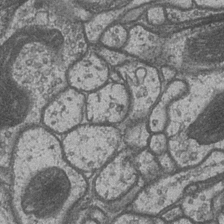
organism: Drosophila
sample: Optic medulla